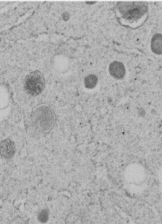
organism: C. elegans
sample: C. elegans embryo early stage